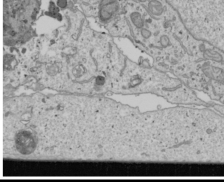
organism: Human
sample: Mitochondria in U2OS cells